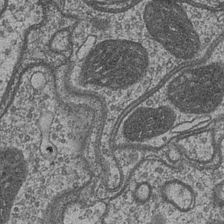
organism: Drosophila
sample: Optic medulla